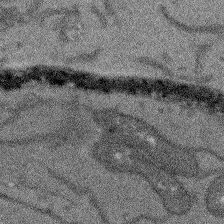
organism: Arabidopsis thaliana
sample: Root tip